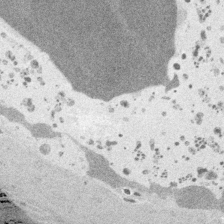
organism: Embia sp.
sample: Silk gland